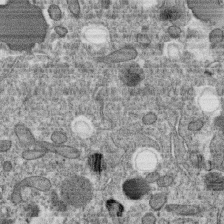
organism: C. elegans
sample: C. elegans oocyte; sperm cells